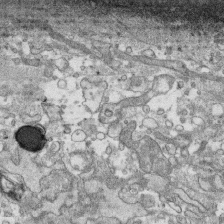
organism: Human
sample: CRL-1474